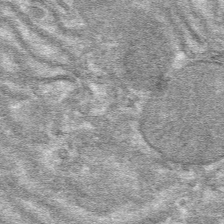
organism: Mouse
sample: Mouse hepatocytes